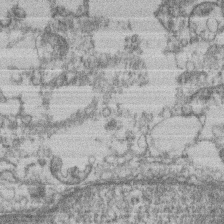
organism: Mouse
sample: T cell stromal cell synapse